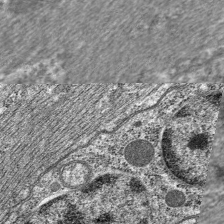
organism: C. elegans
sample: Pharynx